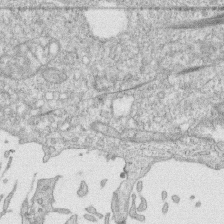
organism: Human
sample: HeLa cell HIV synapse